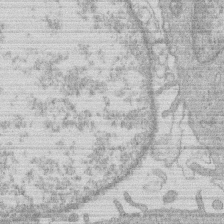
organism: Human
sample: Macrophage cells